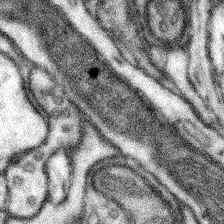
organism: Mouse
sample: Somatosensory cortex neuropil